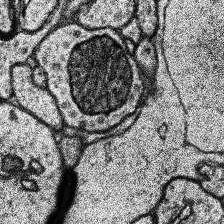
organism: Human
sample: Temporal Lobe